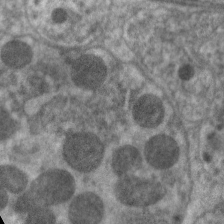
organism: C. elegans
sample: Pharynx